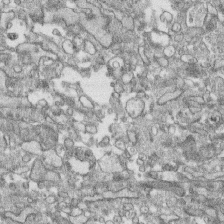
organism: Human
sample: CRL-1474